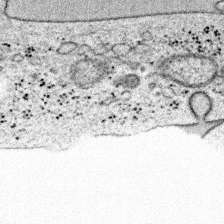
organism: Human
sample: HeLa cells